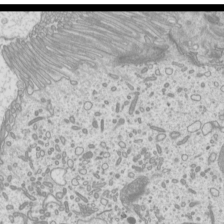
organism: Mouse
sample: Cilia; mouse epididymis